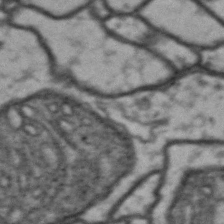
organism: Drosophila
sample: Brain